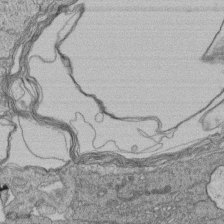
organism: Human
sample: Retinal organoid Rod and Cone cells